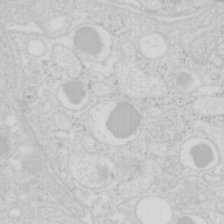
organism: Mouse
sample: Pancreas